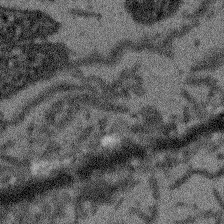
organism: Arabidopsis thaliana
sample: Root tip